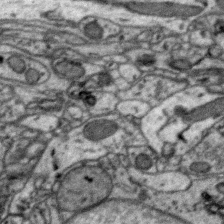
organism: Zebra finch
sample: Brain